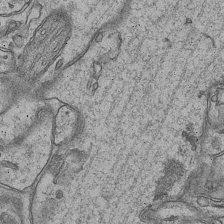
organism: Mouse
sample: CA1 Hippocampus